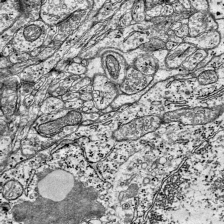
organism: Mouse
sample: Visual Cortex